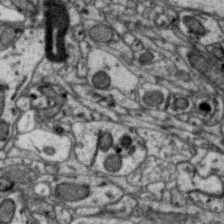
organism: Zebra finch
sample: Brain